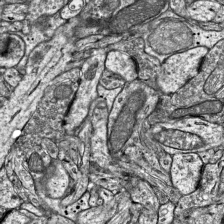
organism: Mouse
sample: Visual Cortex